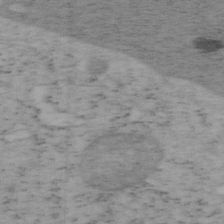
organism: Mouse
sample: OT-I killer T cells with ID8 ovarian cancer cells